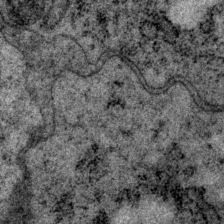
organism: P. pacificus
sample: Pharynx